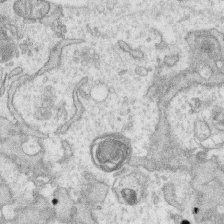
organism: Human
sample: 1205lu cells